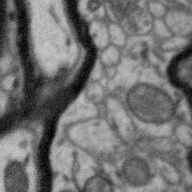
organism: Zebra finch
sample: Brain